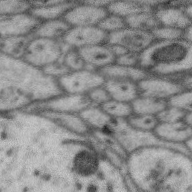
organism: Zebra finch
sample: Brain